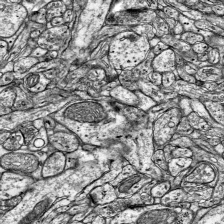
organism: Mouse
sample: Visual Cortex